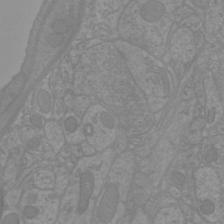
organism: Mouse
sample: Cortical neurons